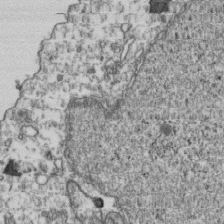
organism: Human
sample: Activated Jurkat CD4+ T cells